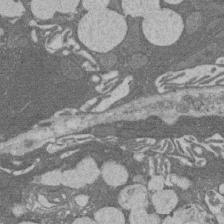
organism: Rat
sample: Salivary granule